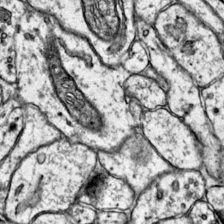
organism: Mouse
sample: Primary visual cortex